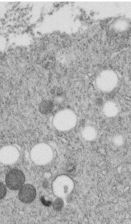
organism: C. elegans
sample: C. elegans embryo early stage